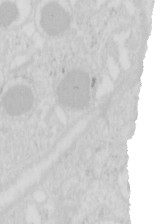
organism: Mouse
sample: Pancreas